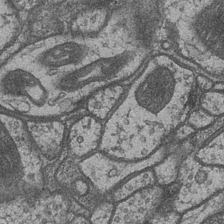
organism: Drosophila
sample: Optic medulla